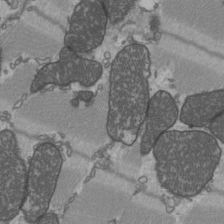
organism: C57BL Mouse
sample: Heart